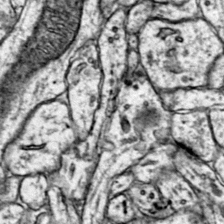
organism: Mouse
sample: Primary visual cortex